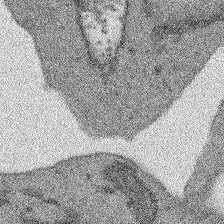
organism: Human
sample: HeLa cells